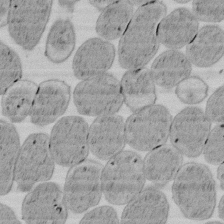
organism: E. coli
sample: Bacterial nucleoid